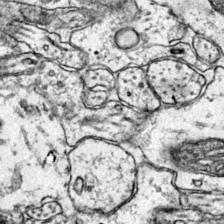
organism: Mouse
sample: Primary visual cortex